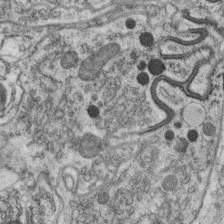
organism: C. elegans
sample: C. elegans oocyte; sperm cells